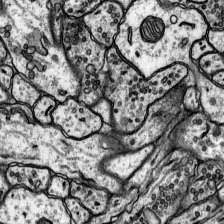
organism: Rat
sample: Hippocampus